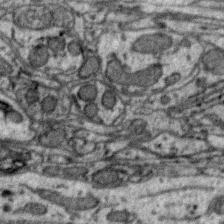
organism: Zebra finch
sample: Brain